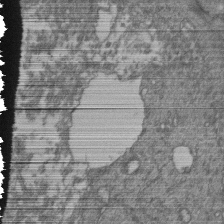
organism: Human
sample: Retinal organoid Rod and Cone cells